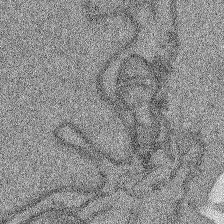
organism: Human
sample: HeLa cells